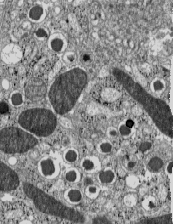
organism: C57BL Mouse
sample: Pancreatic islet